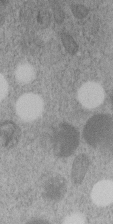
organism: C. elegans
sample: C. elegans embryo early stage